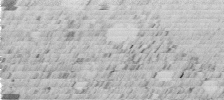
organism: C. elegans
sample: C. elegans embryo early stage